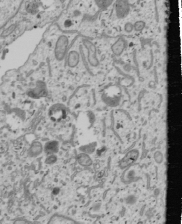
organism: Human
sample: Mitochondria in U2OS cells